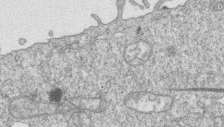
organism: Human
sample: HeLa cell HIV synapse